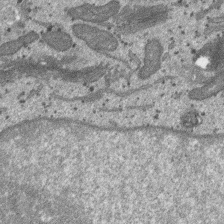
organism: Human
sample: Lung epithelial cells infected with SARS-CoV-2